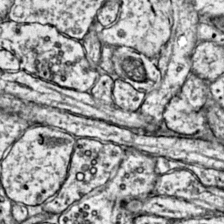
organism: Mouse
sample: Primary visual cortex